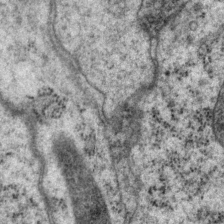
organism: P. pacificus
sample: Pharynx